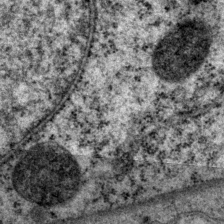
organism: P. pacificus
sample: Pharynx